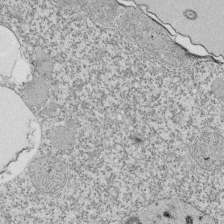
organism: Tetrahymena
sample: Cilia in tetrahymena